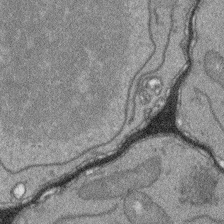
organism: Arabidopsis thaliana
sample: Root tip